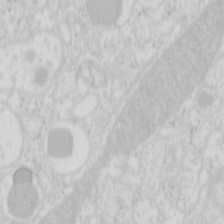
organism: Mouse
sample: Pancreas